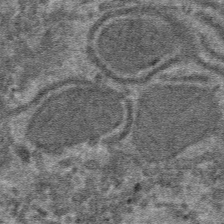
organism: Mouse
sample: Mouse hepatocytes